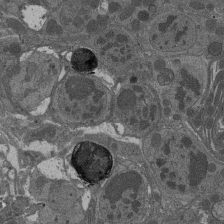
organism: Drosophila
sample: Antenna